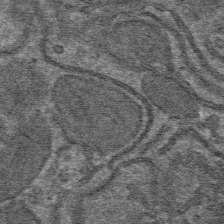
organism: Mouse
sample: Mouse hepatocytes